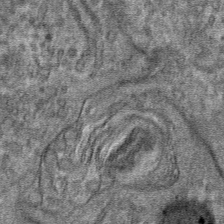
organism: Mouse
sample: Mouse hepatocytes